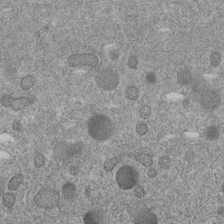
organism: C. elegans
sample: C. elegans embryo early stage